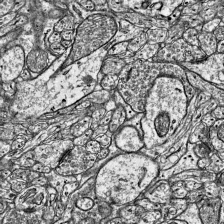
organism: Mouse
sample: Visual Cortex